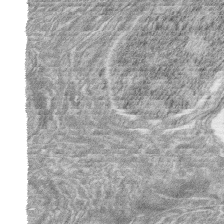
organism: Zebrafish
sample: synaptic ribbons in rod cells and cone cells